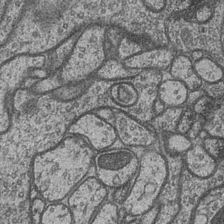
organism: Drosophila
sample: Optic medulla